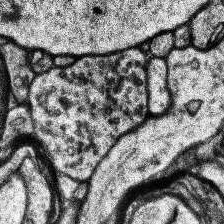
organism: Human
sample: Temporal Lobe